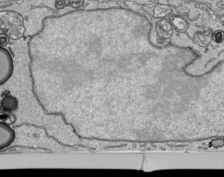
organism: Human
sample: Mitochondria in HCT116 cells